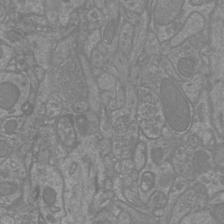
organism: Mouse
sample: Cortical neurons